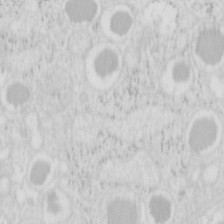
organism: Mouse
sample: Pancreas